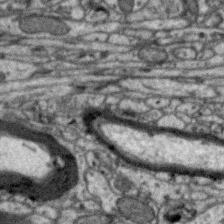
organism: Zebra finch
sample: Brain